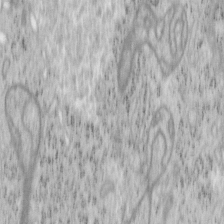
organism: Human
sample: HeLa cells